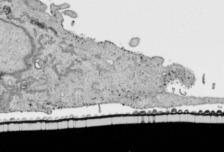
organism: Human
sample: Mitochondria in HCT116 cells